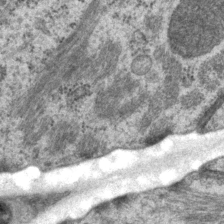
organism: P. pacificus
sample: Pharynx